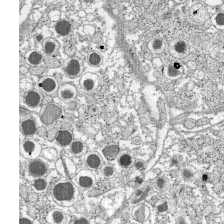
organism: C57BL Mouse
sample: Pancreatic islet